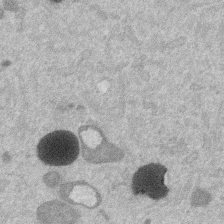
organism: Mouse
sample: Dividing mouse embryo 1 cell stage